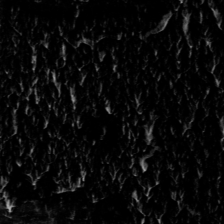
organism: Toxoplasma gondii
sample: Parasites in a vacuole inside a host cell